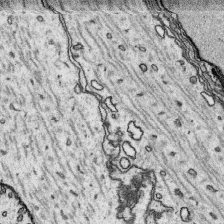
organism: Platynereis dumerilii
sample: Parapodia